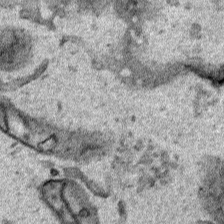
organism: Human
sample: Mitochondria in HCT116 cells